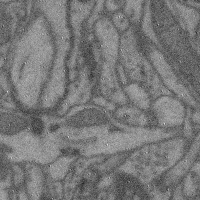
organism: Mouse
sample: Cerebral cortex